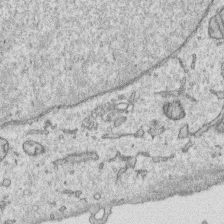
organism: Human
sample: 1205lu cells